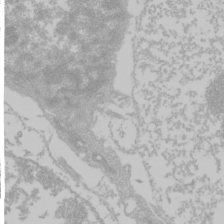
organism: Mouse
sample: Cancer cell death in ED-1 cells